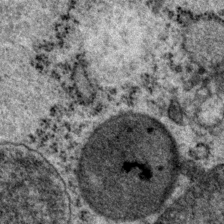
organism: P. pacificus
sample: Pharynx